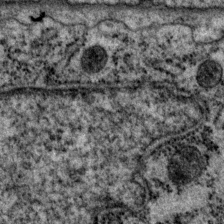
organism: P. pacificus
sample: Pharynx